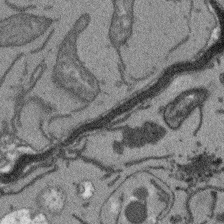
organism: Arabidopsis thaliana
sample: Root tip